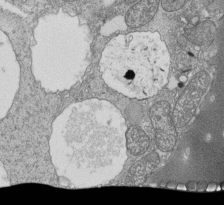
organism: Tetrahymena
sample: Cilia in tetrahymena